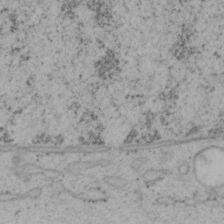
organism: Human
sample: HeLa cells